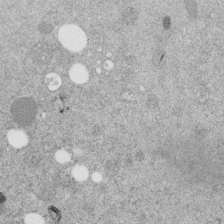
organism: C. elegans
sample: C. elegans embryo early stage